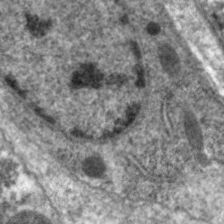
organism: C. elegans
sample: Pharynx